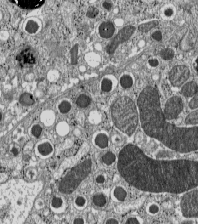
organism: C57BL Mouse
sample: Pancreatic islet